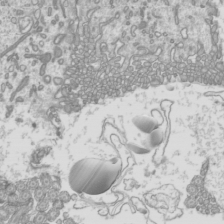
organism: Mouse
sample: Cilia; mouse epididymis